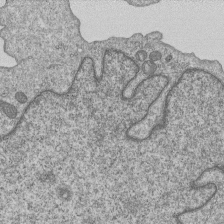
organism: Human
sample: MDA-MB-231 cells